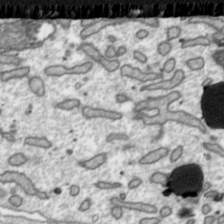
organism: Toxoplasma gondii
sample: Parasites in a vacuole inside a host cell